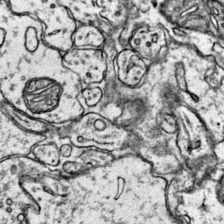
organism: Mouse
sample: Primary visual cortex